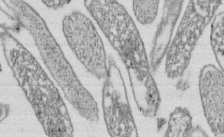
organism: E. coli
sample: Bacterial nucleoid